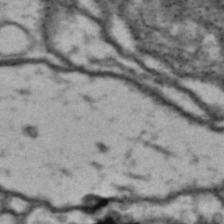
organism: Drosophila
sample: Brain